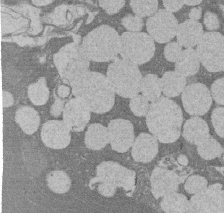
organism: Rat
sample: Salivary granule